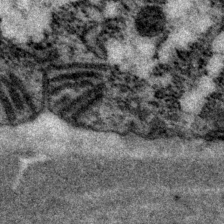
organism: P. pacificus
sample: Pharynx